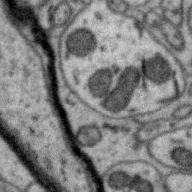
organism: Zebra finch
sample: Brain